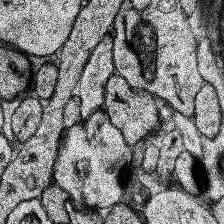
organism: Human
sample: Temporal Lobe